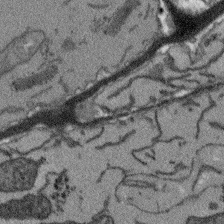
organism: Arabidopsis thaliana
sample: Root tip